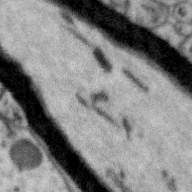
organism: Zebra finch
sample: Brain